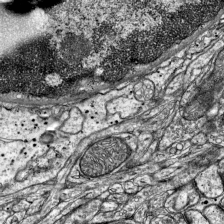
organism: Mouse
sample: Visual Cortex